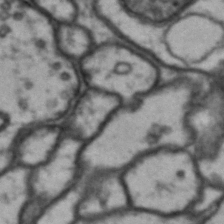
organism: Drosophila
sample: Brain